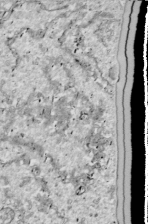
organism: Drosophila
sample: Cell division; meiosis; drosophila spermatocytes